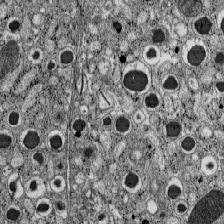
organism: C57BL Mouse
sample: Pancreatic islet